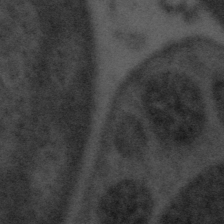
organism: Tuwongella immobilis